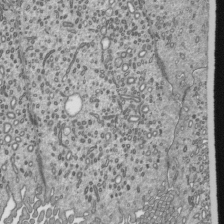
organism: Mouse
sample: Mouse epididymis efferent ductule cilia